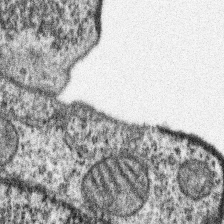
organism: Human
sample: HeLa cells